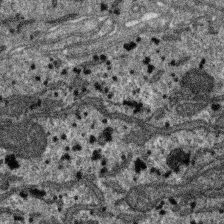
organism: Human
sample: Lung epithelial cells infected with SARS-CoV-2